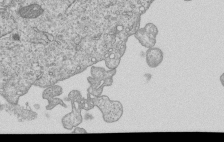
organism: Human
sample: MDA-MB-231 cells